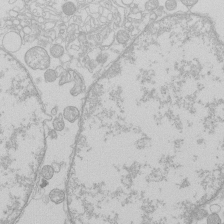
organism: Human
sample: Macrophage cells